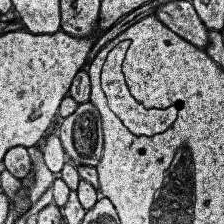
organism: Human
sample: Temporal Lobe